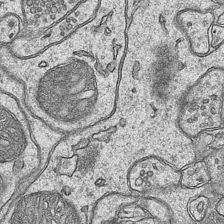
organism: Mouse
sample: CA1 Hippocampus